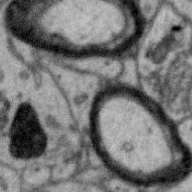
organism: Zebra finch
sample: Brain